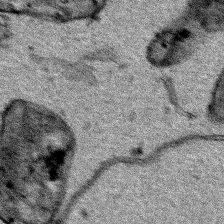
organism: Human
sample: Mitochondria in HCT116 cells